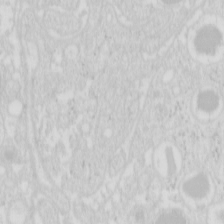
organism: Mouse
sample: Pancreas